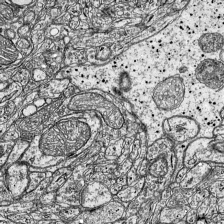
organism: Mouse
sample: Visual Cortex